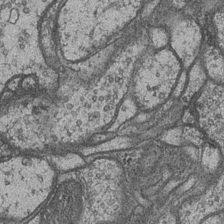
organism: Drosophila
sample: Optic medulla